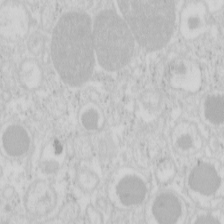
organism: Mouse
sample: Pancreas